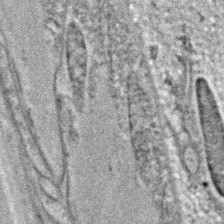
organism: C. elegans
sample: C. elegans embryo